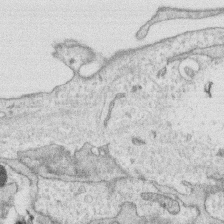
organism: Human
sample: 1205lu cells